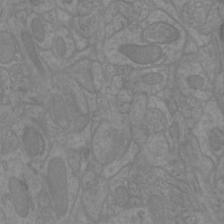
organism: Mouse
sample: Cortical neurons